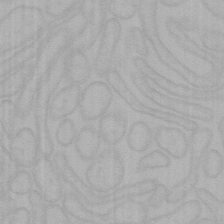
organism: Mouse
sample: Choroid plexus